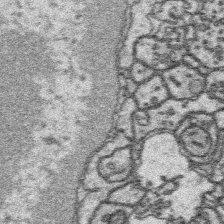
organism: Platynereis dumerilii